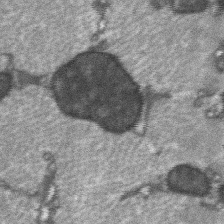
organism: C57BL Mouse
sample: Soleus